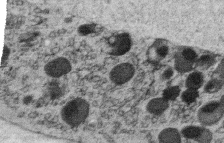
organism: C. elegans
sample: C. elegans oocyte; sperm cells